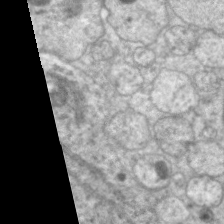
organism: C. elegans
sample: Pharynx